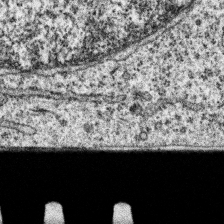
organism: Human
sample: HeLa cells